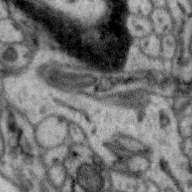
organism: Zebra finch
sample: Brain